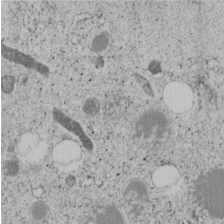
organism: C. elegans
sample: C. elegans embryo early stage